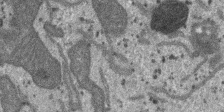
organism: Human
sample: Lung epithelial cells infected with SARS-CoV-2